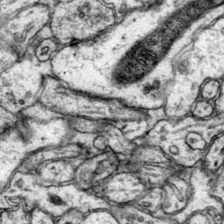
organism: Mouse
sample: Primary visual cortex